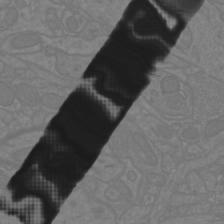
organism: Mouse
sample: Cortical neurons